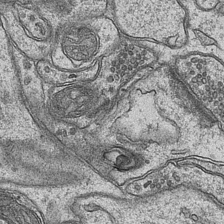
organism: Mouse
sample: CA1 Hippocampus